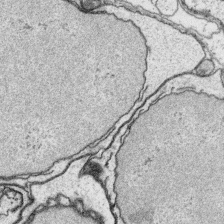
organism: Platynereis dumerilii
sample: Parapodia